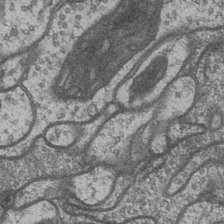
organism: Drosophila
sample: Optic medulla